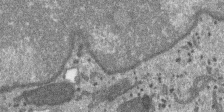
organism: Human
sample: Lung epithelial cells infected with SARS-CoV-2